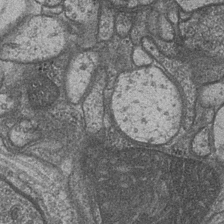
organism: Drosophila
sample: Optic medulla